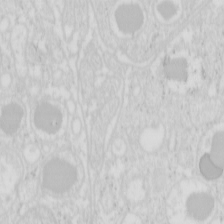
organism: Mouse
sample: Pancreas